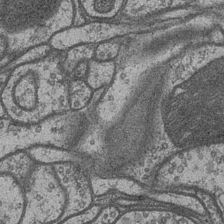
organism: Drosophila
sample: Optic medulla